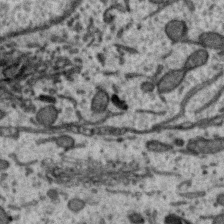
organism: Zebra finch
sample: Brain